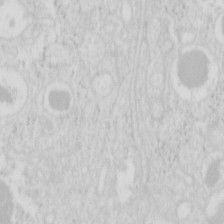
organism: Mouse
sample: Pancreas